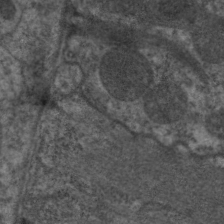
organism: C. elegans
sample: Pharynx